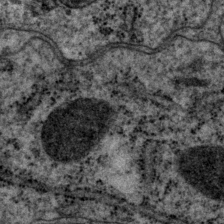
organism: P. pacificus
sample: Pharynx